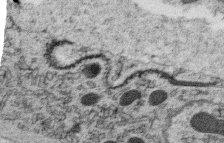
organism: C. elegans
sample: C. elegans oocyte; sperm cells